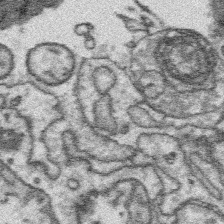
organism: Platynereis dumerilii